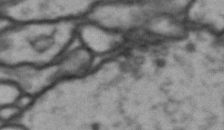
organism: Drosophila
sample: Brain